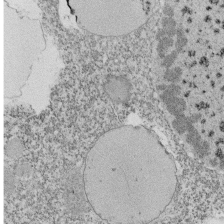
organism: Tetrahymena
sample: Cilia in tetrahymena